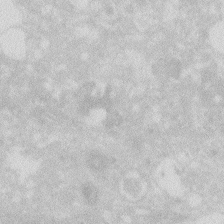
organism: Zebrafish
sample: Macrophage